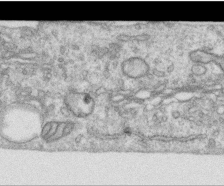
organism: Human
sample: Centriole in RPE cells